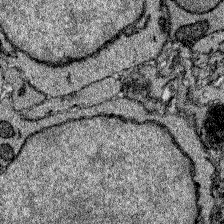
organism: Zebrafish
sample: Larval olfactory bulb